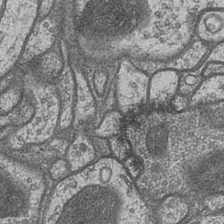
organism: Drosophila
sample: Optic medulla